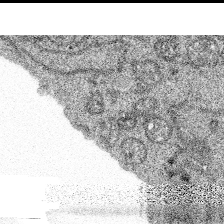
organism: Spongilla lacustris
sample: Multiple